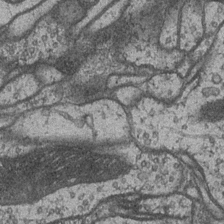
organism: Drosophila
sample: Optic medulla